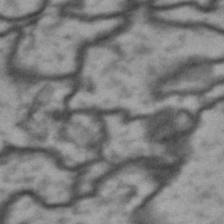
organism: Drosophila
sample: Brain